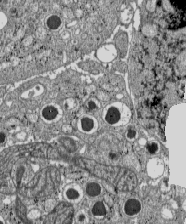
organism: C57BL Mouse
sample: Pancreatic islet